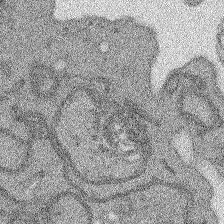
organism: Human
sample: HeLa cells